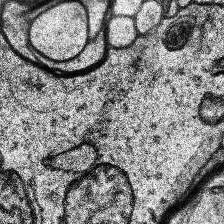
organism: Human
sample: Temporal Lobe